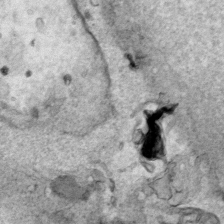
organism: Human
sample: Mitochondria in HCT116 cells